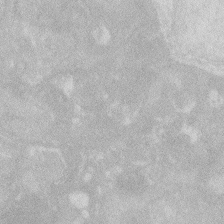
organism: Zebrafish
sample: Macrophage